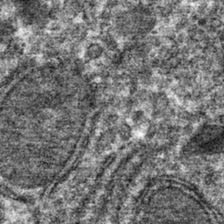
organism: Mouse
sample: Mouse hepatocytes